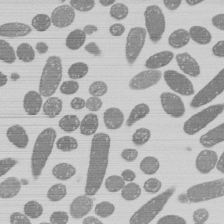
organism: E. coli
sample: Bacterial nucleoid